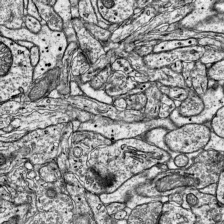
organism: Mouse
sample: Visual Cortex